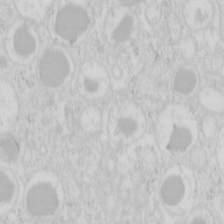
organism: Mouse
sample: Pancreas